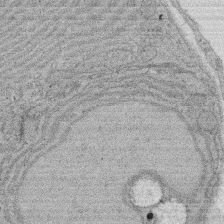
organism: Rat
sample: Salivary granule